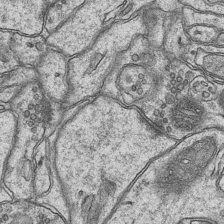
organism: Mouse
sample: CA1 Hippocampus